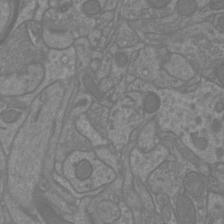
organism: Mouse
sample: Cortical neurons